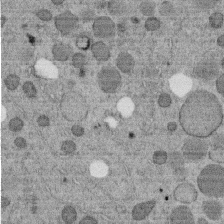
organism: C. elegans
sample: C. elegans embryo early stage